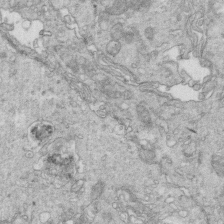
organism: Mouse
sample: Multiciliated cells